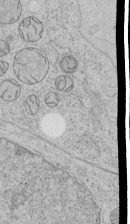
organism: Human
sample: Mitochondria in HCT116 cells